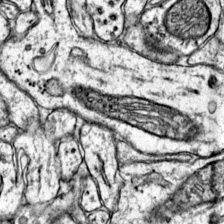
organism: Mouse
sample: Primary visual cortex